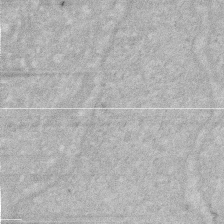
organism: Human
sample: HIV infected U937 cells